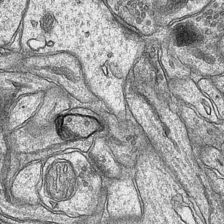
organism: Mouse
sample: CA1 Hippocampus